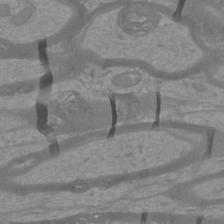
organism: Mouse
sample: Cortical neurons